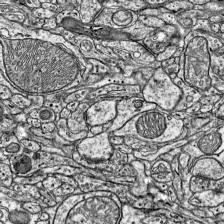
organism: Mouse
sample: Visual Cortex